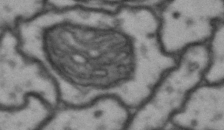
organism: Drosophila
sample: Brain